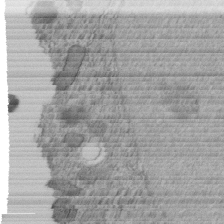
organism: C. elegans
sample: C. elegans embryo early stage